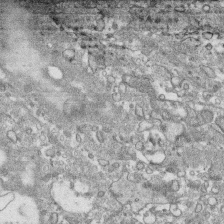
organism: Human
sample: CRL-1474